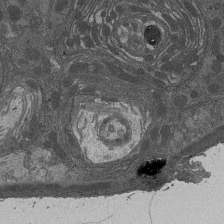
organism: Drosophila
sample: Antenna